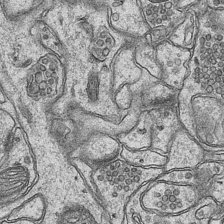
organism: Mouse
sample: CA1 Hippocampus